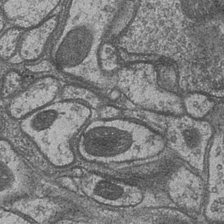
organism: Drosophila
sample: Optic medulla